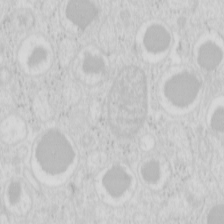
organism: Mouse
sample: Pancreas